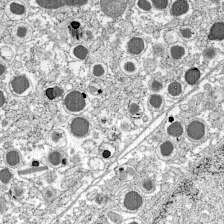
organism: C57BL Mouse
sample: Pancreatic islet